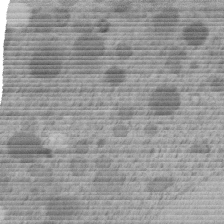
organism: C. elegans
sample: C. elegans embryo early stage